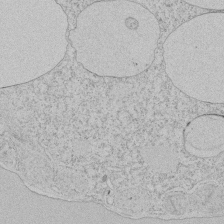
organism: Tetrahymena